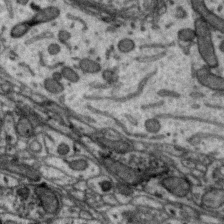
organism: Zebra finch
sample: Brain